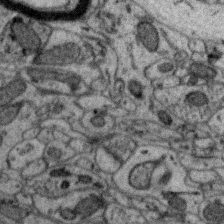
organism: Zebra finch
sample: Brain